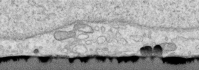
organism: Human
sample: Centriole in RPE cells